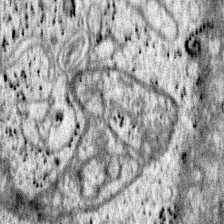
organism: Human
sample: HeLa cells